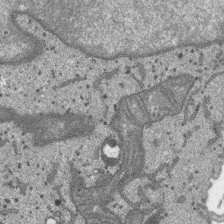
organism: Human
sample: Lung epithelial cells infected with SARS-CoV-2